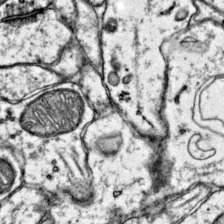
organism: Mouse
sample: Primary visual cortex